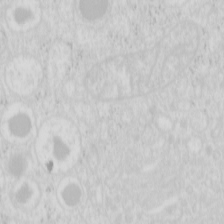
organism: Mouse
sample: Pancreas